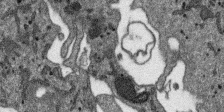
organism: Human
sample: Lung epithelial cells infected with SARS-CoV-2